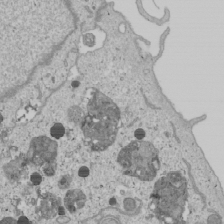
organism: Human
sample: Mitochondria in U2OS cells